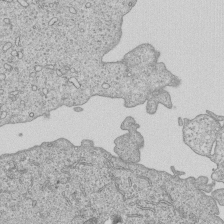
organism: Human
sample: MDA-MB-231 cells